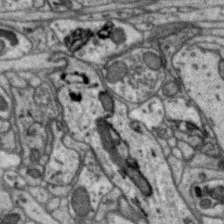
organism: Zebra finch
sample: Brain